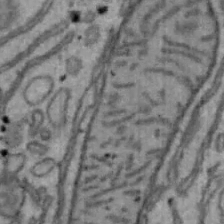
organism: Mouse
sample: Liver